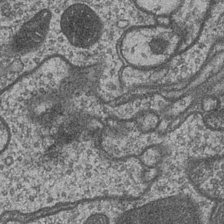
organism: Drosophila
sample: Optic medulla